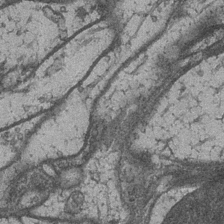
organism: Drosophila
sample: Optic medulla